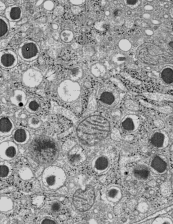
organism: C57BL Mouse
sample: Pancreatic islet